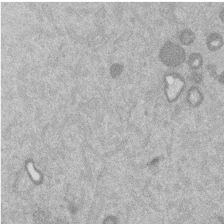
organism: Mouse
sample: Dividing mouse embryo 1 cell stage